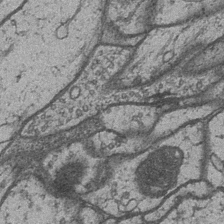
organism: Drosophila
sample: Optic medulla